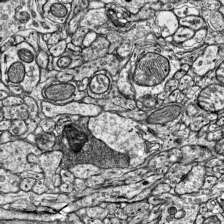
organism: Mouse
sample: Visual Cortex